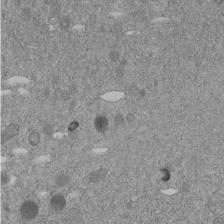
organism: C. elegans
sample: C. elegans embryo early stage